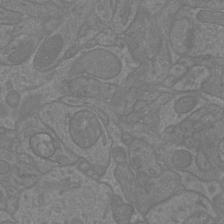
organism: Mouse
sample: Cortical neurons